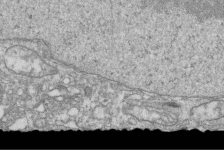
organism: Human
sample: HeLa cell HIV synapse